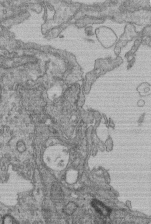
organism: Human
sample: Retinal organoid Rod and Cone cells